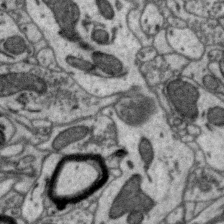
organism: Zebra finch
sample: Brain